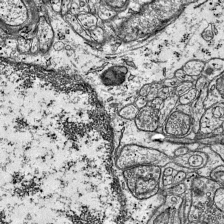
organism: Mouse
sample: Visual Cortex